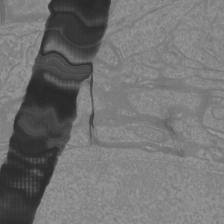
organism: Mouse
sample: Cortical neurons